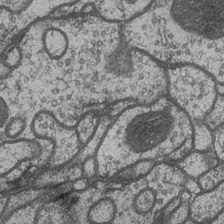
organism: Drosophila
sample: Optic medulla